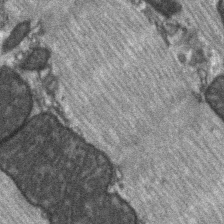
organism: C57BL Mouse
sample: Soleus